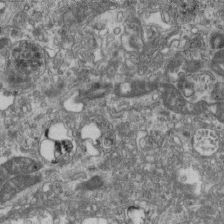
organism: Mouse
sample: Centriole in ependymal cells